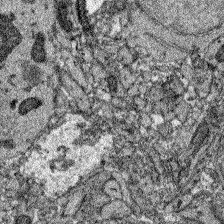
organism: Zebrafish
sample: Larval olfactory bulb